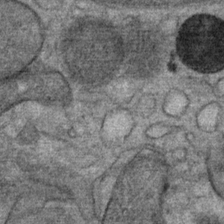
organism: Mouse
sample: Mouse Salivary gland